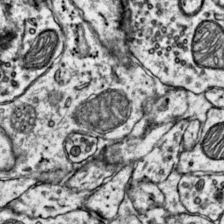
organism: Mouse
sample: Primary visual cortex